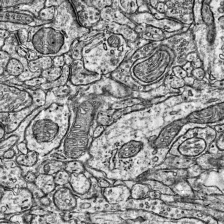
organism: Mouse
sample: Visual Cortex